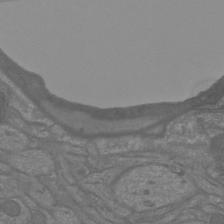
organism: Mouse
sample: Cortical neurons